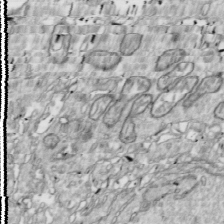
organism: Drosophila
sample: Cell division; meiosis; drosophila spermatocytes